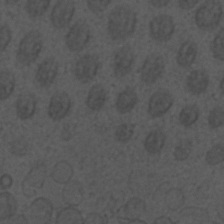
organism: C. elegans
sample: C. elegans embryo